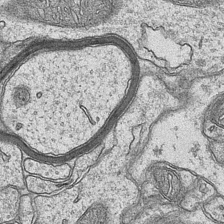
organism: Mouse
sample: CA1 Hippocampus